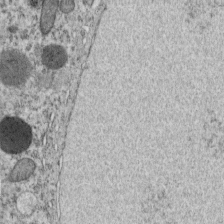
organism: C. elegans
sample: C. elegans embryo early stage